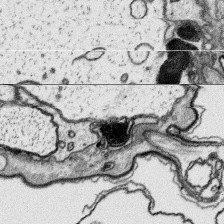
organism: Platynereis dumerilii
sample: Parapodia